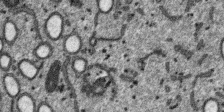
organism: Human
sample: Lung epithelial cells infected with SARS-CoV-2